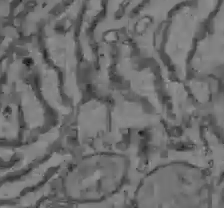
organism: C57BL Mouse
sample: Liver